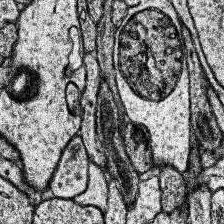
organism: Human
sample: Temporal Lobe